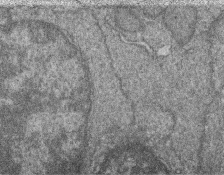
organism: Zebrafish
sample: Cilia; retinal pigment epithelium